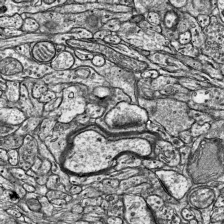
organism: Mouse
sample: Visual Cortex